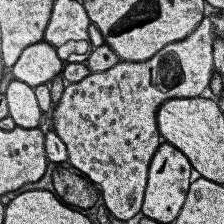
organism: Human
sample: Temporal Lobe